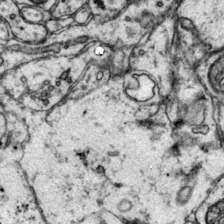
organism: Mouse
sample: Primary visual cortex